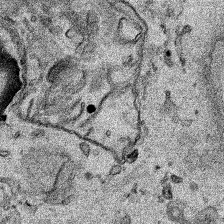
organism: Human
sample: Mitochondria in HCT116 cells